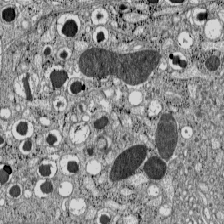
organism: C57BL Mouse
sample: Pancreatic islet